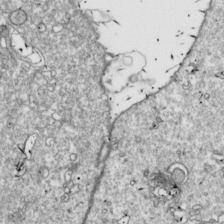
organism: Drosophila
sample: Cell division; meiosis; drosophila spermatocytes